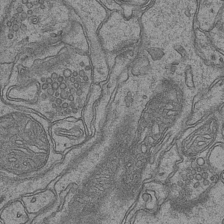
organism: Mouse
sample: CA1 Hippocampus